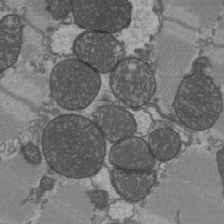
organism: C57BL Mouse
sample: Heart